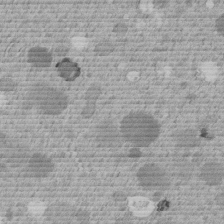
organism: C. elegans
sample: C. elegans embryo early stage